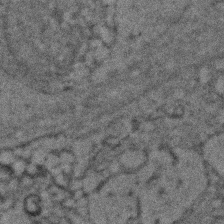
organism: Zebrafish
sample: Zebrafish embryo